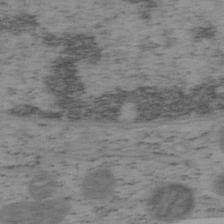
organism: Mouse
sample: OT-I killer T cells with ID8 ovarian cancer cells